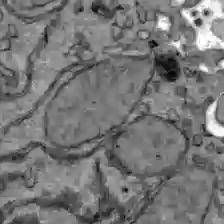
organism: C57BL Mouse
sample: Liver